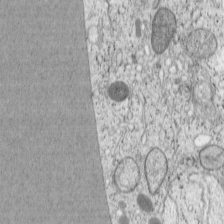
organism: African green monkey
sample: COS-7 cells